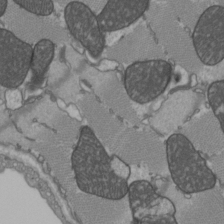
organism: C57BL Mouse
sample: Heart